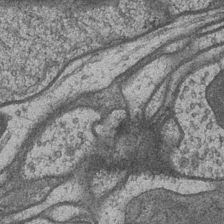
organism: Drosophila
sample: Optic medulla